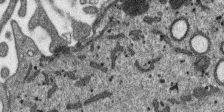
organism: Human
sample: Lung epithelial cells infected with SARS-CoV-2